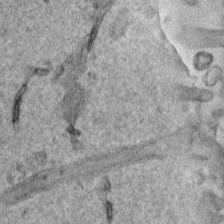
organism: Human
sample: Mitochondria in HCT116 cells